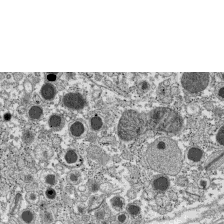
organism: C57BL Mouse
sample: Pancreatic islet